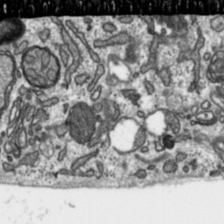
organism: Toxoplasma gondii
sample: Parasites in a vacuole inside a host cell